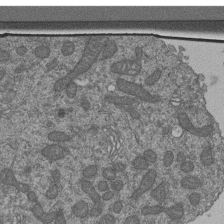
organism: Human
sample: Retinal organoid Rod and Cone cells